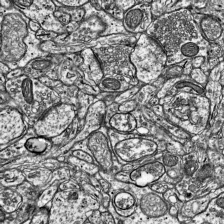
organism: Mouse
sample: Visual Cortex